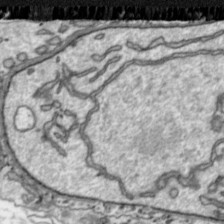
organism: Toxoplasma gondii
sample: Parasites in a vacuole inside a host cell